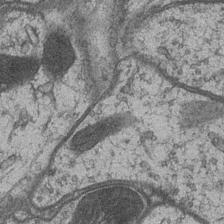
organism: Drosophila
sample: Optic medulla